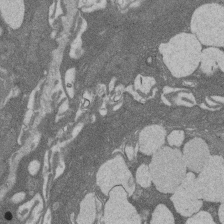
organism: Rat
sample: Salivary granule